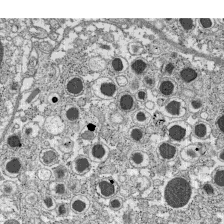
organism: C57BL Mouse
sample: Pancreatic islet